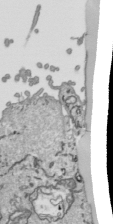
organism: Human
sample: Mitochondria in HCT116 cells